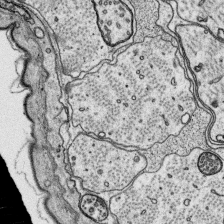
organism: Platynereis dumerilii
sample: Parapodia